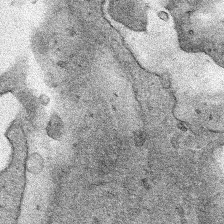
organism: Human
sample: Mitochondria in HCT116 cells